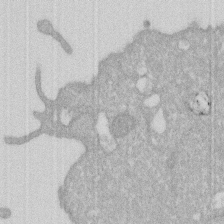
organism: Human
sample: HIV infected U937 cells